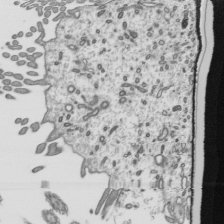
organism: Mouse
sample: Mouse epididymis efferent ductule cilia